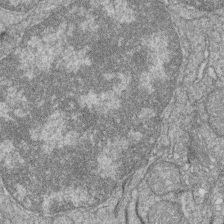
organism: Zebrafish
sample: Cilia; retinal pigment epithelium